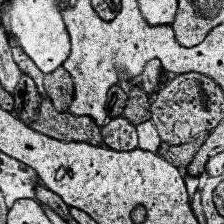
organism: Human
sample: Temporal Lobe